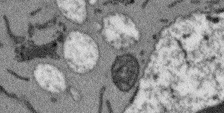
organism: Arabidopsis thaliana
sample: Root tip